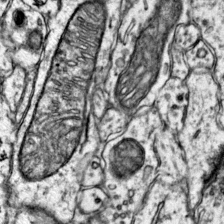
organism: Mouse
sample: Primary visual cortex